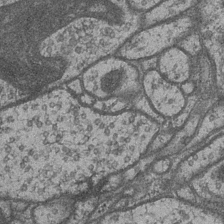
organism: Drosophila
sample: Optic medulla